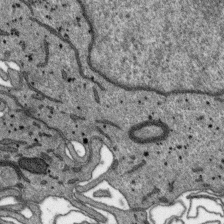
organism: Human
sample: Lung epithelial cells, uninfected (mock) control